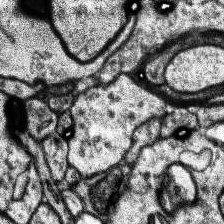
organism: Human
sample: Temporal Lobe